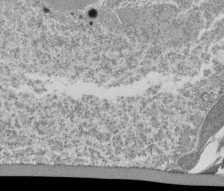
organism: Tetrahymena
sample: Cilia in tetrahymena